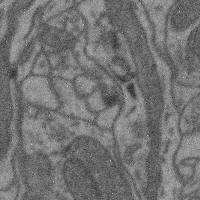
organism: Mouse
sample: Cerebral cortex